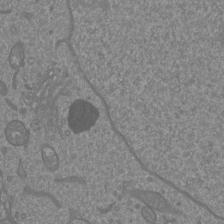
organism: Mouse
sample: Cortical neurons